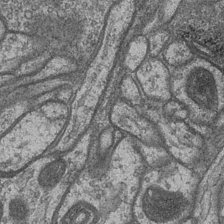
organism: Drosophila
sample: Optic medulla